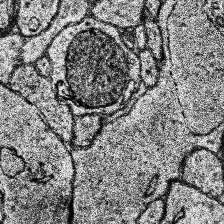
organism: Human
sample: Temporal Lobe